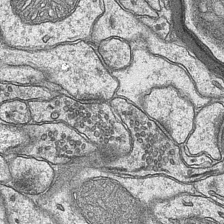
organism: Mouse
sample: CA1 Hippocampus